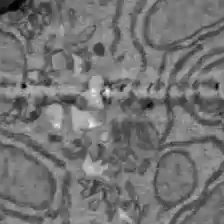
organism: C57BL Mouse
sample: Liver